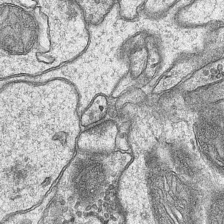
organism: Mouse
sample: CA1 Hippocampus